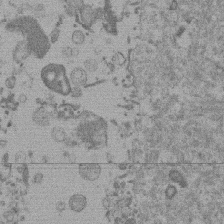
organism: Mouse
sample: Dividing mouse embryo 1 cell stage